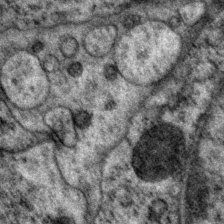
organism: P. pacificus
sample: Pharynx